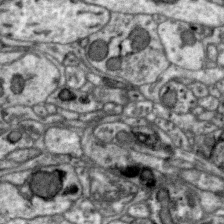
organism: Zebra finch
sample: Brain